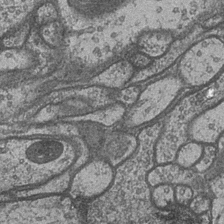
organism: Drosophila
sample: Optic medulla